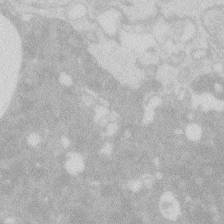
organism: Zebrafish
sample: Macrophage